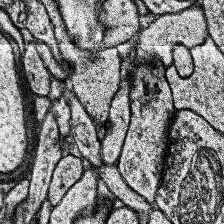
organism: Human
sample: Temporal Lobe